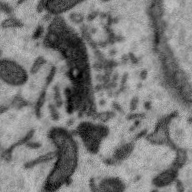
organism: Zebra finch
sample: Brain